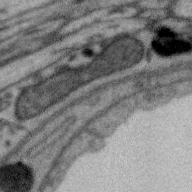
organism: Zebra finch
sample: Brain